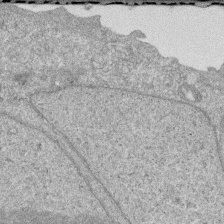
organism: Human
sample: HeLa cell HIV synapse